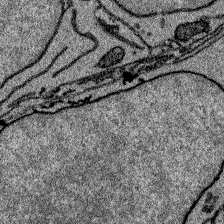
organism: Zebrafish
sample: Larval olfactory bulb